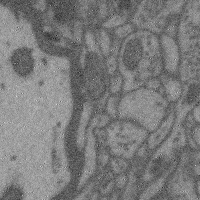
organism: Mouse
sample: Cerebral cortex